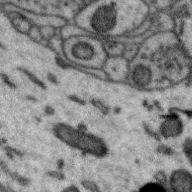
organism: Zebra finch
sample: Brain